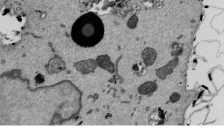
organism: Mouse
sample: ED-1 cell nuclei; centrioles